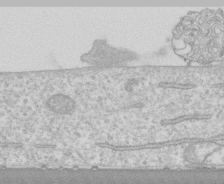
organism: Human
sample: CRL-1474